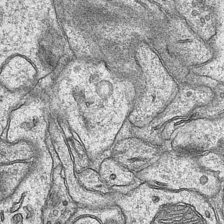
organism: Mouse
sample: CA1 Hippocampus